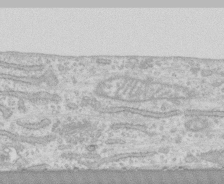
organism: Human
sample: CRL-1474